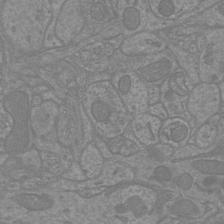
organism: Mouse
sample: Cortical neurons